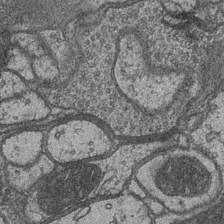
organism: Drosophila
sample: Optic medulla